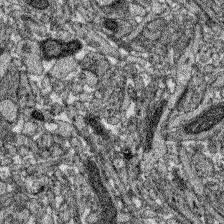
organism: Zebrafish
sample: Larval olfactory bulb